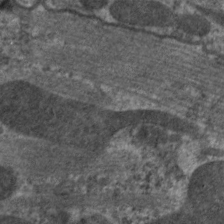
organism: C. elegans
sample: Pharynx